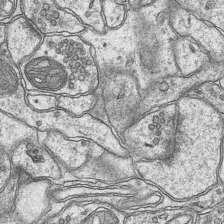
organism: Mouse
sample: CA1 Hippocampus